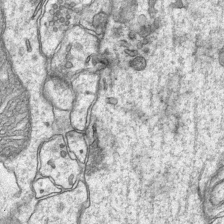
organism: Mouse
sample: CA1 Hippocampus